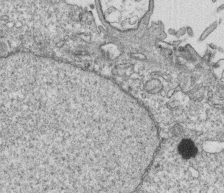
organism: Human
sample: HeLa cell HIV synapse